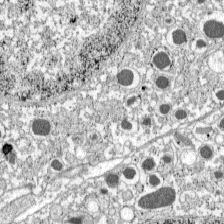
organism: C57BL Mouse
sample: Pancreatic islet